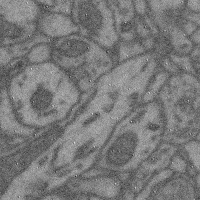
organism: Mouse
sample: Cerebral cortex